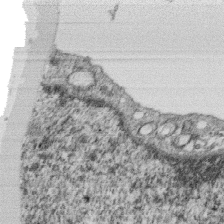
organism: African green monkey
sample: Vero E6 cells infected with SARS-CoV-2